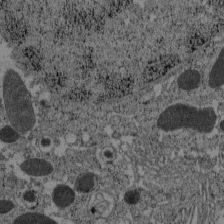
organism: C57BL Mouse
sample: Pancreatic islet